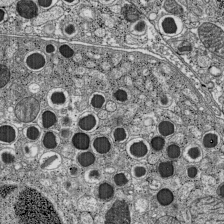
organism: C57BL Mouse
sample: Pancreatic islet